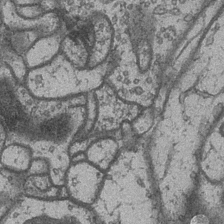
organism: Drosophila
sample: Optic medulla